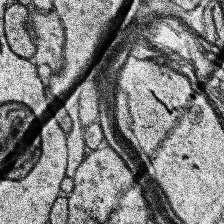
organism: Human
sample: Temporal Lobe